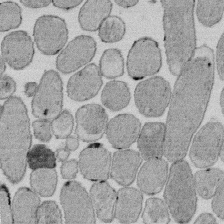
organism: E. coli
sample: Bacterial nucleoid